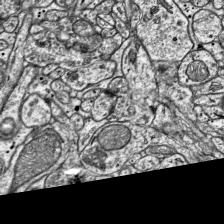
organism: Mouse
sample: Visual Cortex